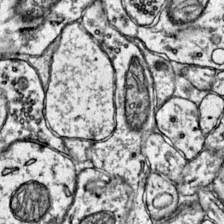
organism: Mouse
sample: Primary visual cortex